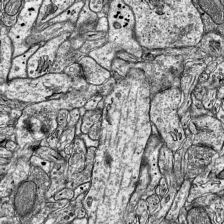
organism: Mouse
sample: Visual Cortex